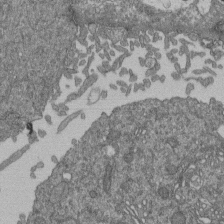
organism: Human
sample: Retinal organoid Rod and Cone cells